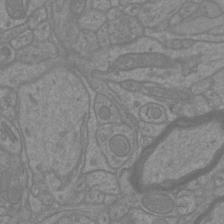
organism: Mouse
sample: Cortical neurons